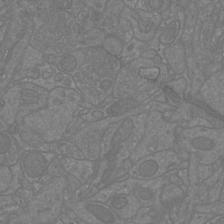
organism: Mouse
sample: Cortical neurons